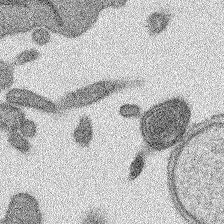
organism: Human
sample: HeLa cells